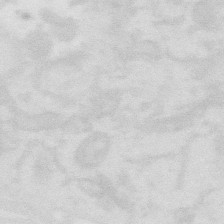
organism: Human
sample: HeLa cells